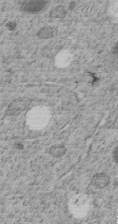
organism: C. elegans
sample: C. elegans embryo early stage